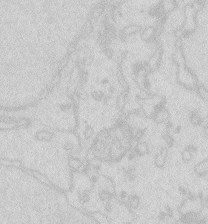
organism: Zebrafish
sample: Macrophage